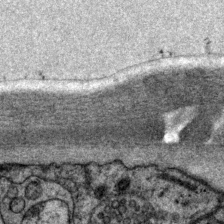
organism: P. pacificus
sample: Pharynx